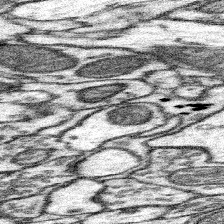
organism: Mouse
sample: Somatosensory cortex neuropil